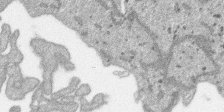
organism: Human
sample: Lung epithelial cells infected with SARS-CoV-2